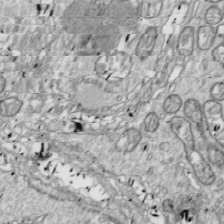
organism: Drosophila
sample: Cell division; meiosis; drosophila spermatocytes